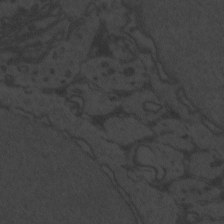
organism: Zebrafish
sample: Macrophage infected with Toxoplasma gondii